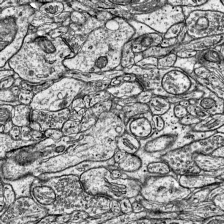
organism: Mouse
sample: Visual Cortex